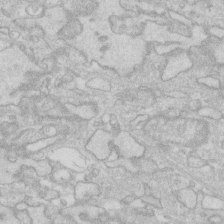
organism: Human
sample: Fibroblast cells